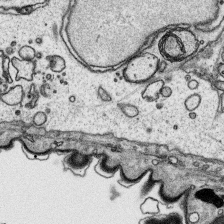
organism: Platynereis dumerilii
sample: Parapodia